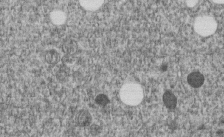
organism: C. elegans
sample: C. elegans embryo early stage